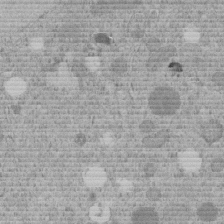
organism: C. elegans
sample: C. elegans embryo early stage